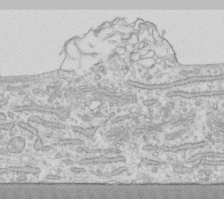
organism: Human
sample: Fibroblast cells